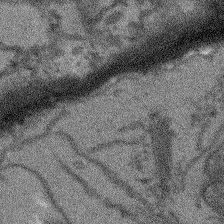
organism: Arabidopsis thaliana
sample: Root tip